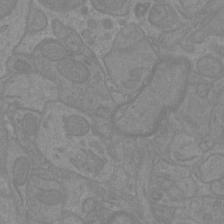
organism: Mouse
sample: Cortical neurons